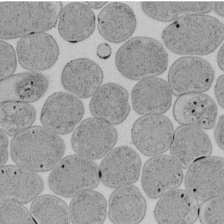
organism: E. coli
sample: Bacterial nucleoid